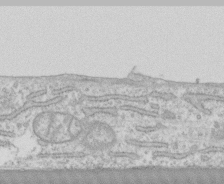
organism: Human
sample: CRL-1474